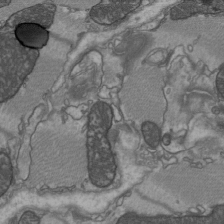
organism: C57BL Mouse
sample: Heart